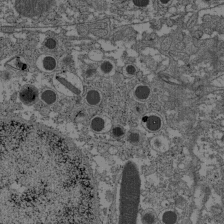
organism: C57BL Mouse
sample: Pancreatic islet